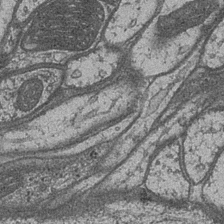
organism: Drosophila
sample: Optic medulla